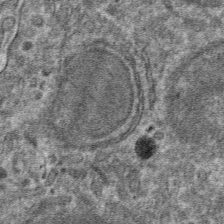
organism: Mouse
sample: Mouse hepatocytes